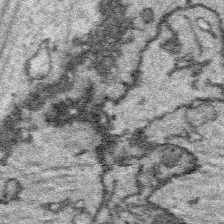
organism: Platynereis dumerilii